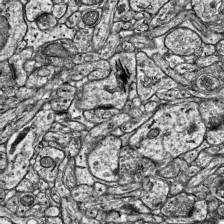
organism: Mouse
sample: Visual Cortex